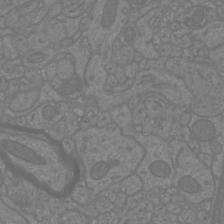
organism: Mouse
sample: Cortical neurons